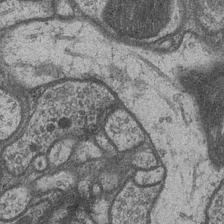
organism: Drosophila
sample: Optic medulla